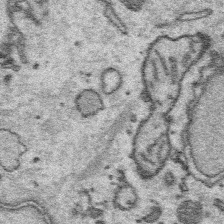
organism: Platynereis dumerilii